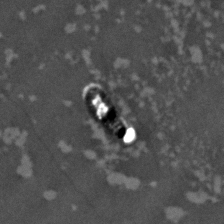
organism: C. elegans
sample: C. elegans embryo